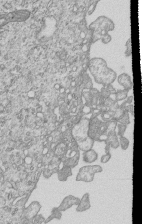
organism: Human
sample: MDA-MB-231 cells